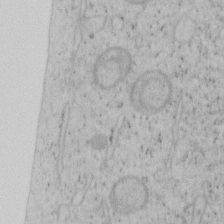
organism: Human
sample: HeLa cells